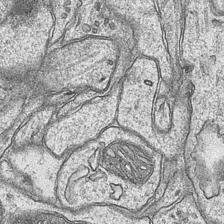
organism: Mouse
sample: CA1 Hippocampus